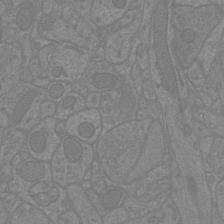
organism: Mouse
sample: Cortical neurons